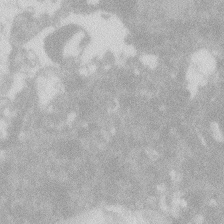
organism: Zebrafish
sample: Macrophage